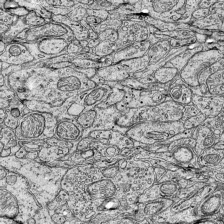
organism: Mouse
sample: Visual Cortex